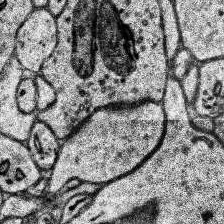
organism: Human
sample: Temporal Lobe